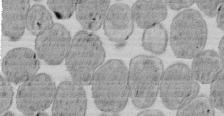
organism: E. coli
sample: Bacterial nucleoid